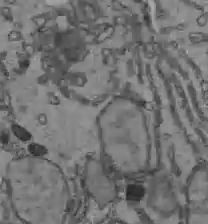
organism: C57BL Mouse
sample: Liver